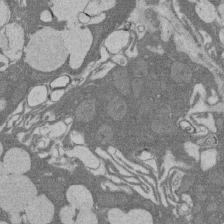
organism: Rat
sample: Salivary granule